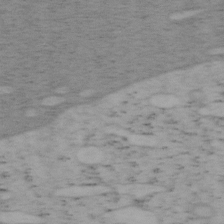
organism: Mouse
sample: OT-I killer T cells with ID8 ovarian cancer cells